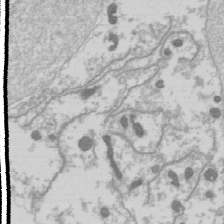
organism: Drosophila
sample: Cell division; meiosis; drosophila spermatocytes